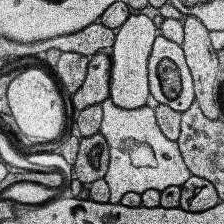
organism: Human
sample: Temporal Lobe